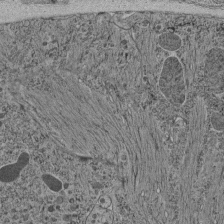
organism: C. elegans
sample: C. elegans pharynx